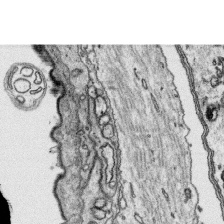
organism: Platynereis dumerilii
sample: Parapodia